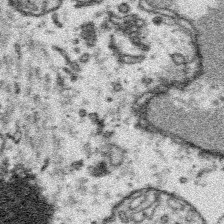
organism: Platynereis dumerilii